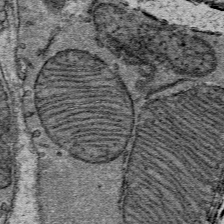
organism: Mouse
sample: Mouse Salivary gland